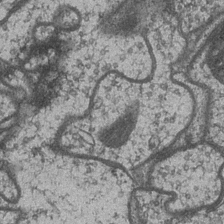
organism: Drosophila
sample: Optic medulla